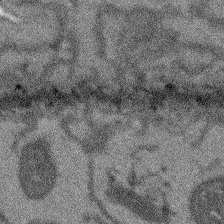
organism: Arabidopsis thaliana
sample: Root tip